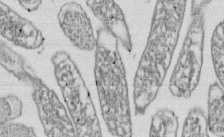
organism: E. coli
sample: Bacterial nucleoid